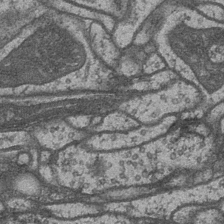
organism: Drosophila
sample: Optic medulla